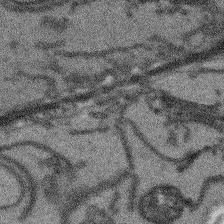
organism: Arabidopsis thaliana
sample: Root tip